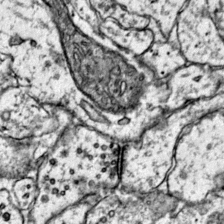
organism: Mouse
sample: Primary visual cortex